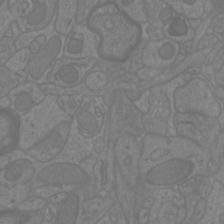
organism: Mouse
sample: Cortical neurons